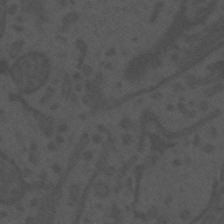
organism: Mouse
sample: Suprachiasmatic nucleus